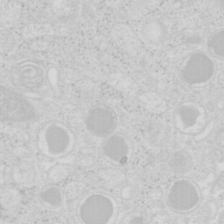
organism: Mouse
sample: Pancreas